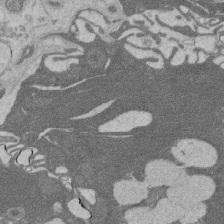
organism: Rat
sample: Salivary granule